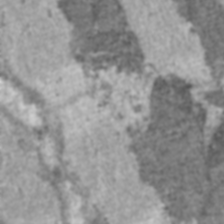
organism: C57BL Mouse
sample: Heart